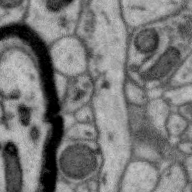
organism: Zebra finch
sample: Brain